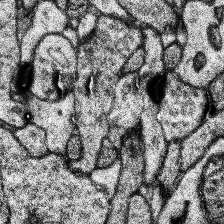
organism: Human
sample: Temporal Lobe